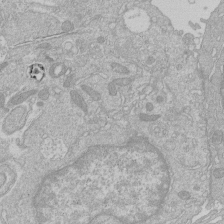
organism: Human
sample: Macrophage cells